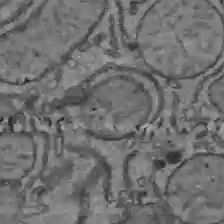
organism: C57BL Mouse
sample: Liver